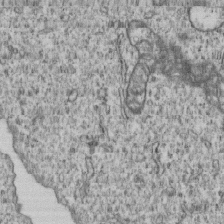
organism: Human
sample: MDA-MB-231 cells